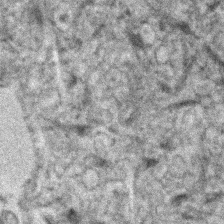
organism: Human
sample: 1205lu cells